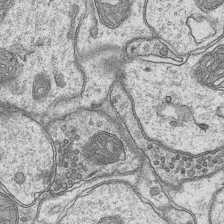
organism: Mouse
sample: CA1 Hippocampus